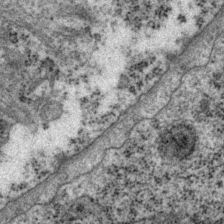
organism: P. pacificus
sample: Pharynx